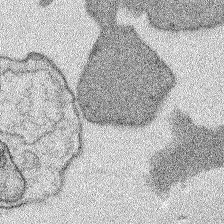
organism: Human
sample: HeLa cells